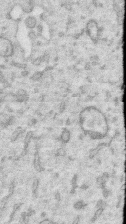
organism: Human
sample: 1205lu cells